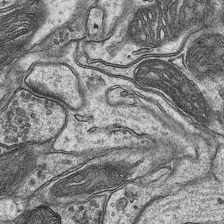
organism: Mouse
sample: CA1 Hippocampus